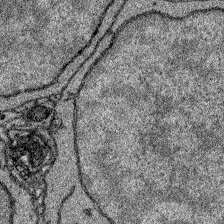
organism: Zebrafish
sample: Larval olfactory bulb